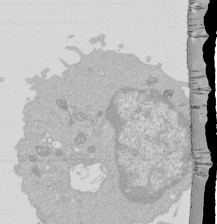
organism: Mouse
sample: Activated Pmel transgenic CD8+ T Cells